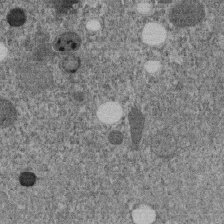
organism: C. elegans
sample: C. elegans embryo early stage